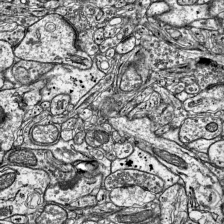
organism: Mouse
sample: Visual Cortex